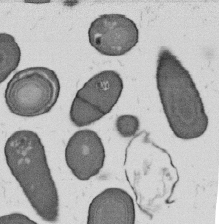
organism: B. subtilis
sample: Bacterial spore